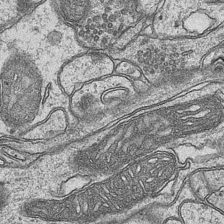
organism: Mouse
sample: CA1 Hippocampus